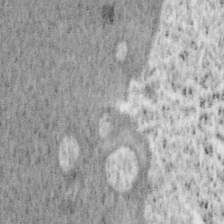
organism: Mouse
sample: OT-I killer T cells with ID8 ovarian cancer cells